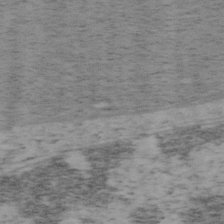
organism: Mouse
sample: OT-I killer T cells with ID8 ovarian cancer cells